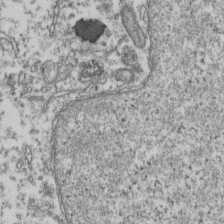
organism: Human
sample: Activated Jurkat CD4+ T cells